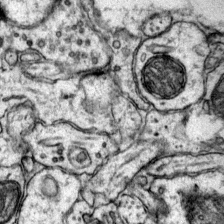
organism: Mouse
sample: Primary visual cortex